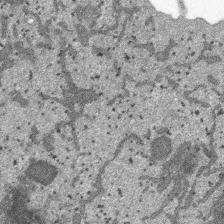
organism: Human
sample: Lung epithelial cells infected with SARS-CoV-2